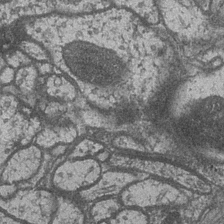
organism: Drosophila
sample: Optic medulla